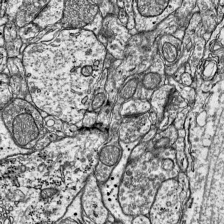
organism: Mouse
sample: Visual Cortex